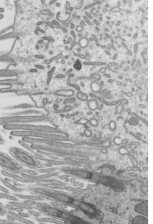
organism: Mouse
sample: Mouse epididymis efferent ductule cilia